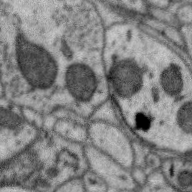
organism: Zebra finch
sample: Brain